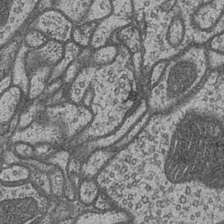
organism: Drosophila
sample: Optic medulla